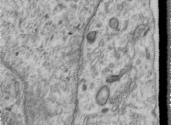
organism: Human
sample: Centriole in RPE cells